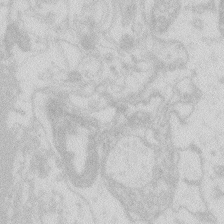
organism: Zebrafish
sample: Macrophage